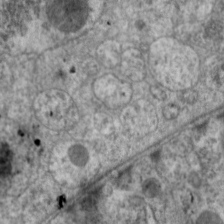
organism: C. elegans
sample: Pharynx